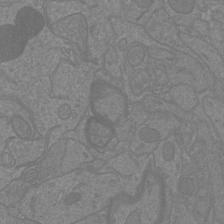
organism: Mouse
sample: Cortical neurons